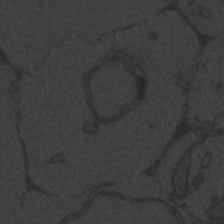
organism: Zebrafish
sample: Macrophage infected with Toxoplasma gondii